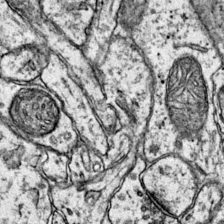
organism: Mouse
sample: Primary visual cortex